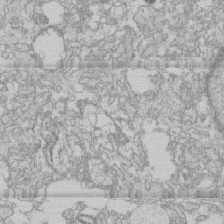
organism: Human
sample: CRL-1474